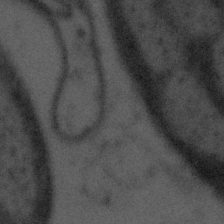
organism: Tuwongella immobilis